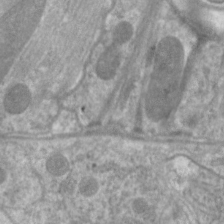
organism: C. elegans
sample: Pharynx